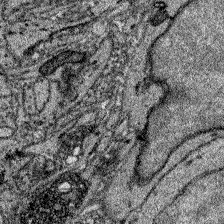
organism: Zebrafish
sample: Larval olfactory bulb